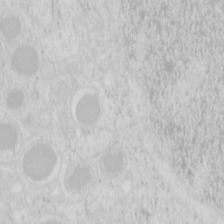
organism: Mouse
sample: Pancreas